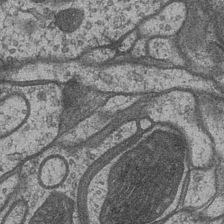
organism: Drosophila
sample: Optic medulla